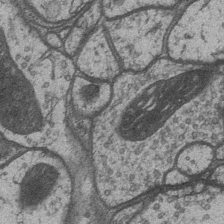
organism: Drosophila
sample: Optic medulla